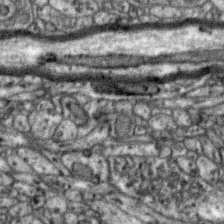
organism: Zebra finch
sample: Brain